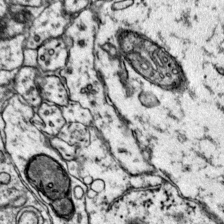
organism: Mouse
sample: Primary visual cortex